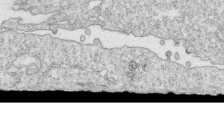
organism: Human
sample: HeLa cell HIV synapse